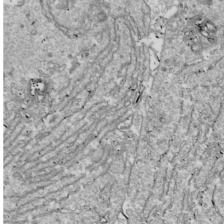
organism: Drosophila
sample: Cell division; meiosis; drosophila spermatocytes